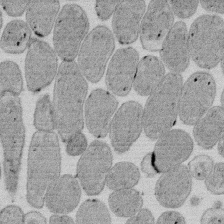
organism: E. coli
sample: Bacterial nucleoid